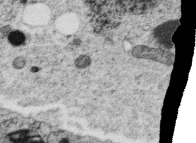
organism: C. elegans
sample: C. elegans oocyte; sperm cells